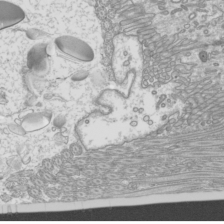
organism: Mouse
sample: Cilia; mouse epididymis